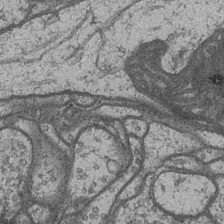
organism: Drosophila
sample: Optic medulla